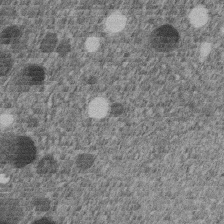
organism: C. elegans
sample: C. elegans embryo early stage